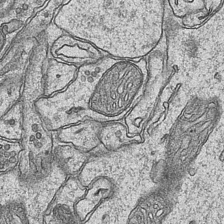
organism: Mouse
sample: CA1 Hippocampus